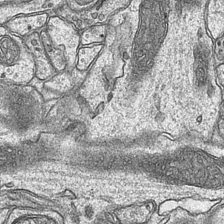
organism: Mouse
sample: CA1 Hippocampus